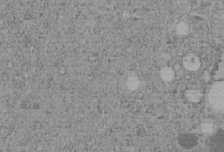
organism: C. elegans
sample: C. elegans embryo early stage